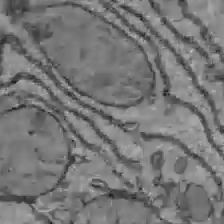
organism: C57BL Mouse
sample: Liver